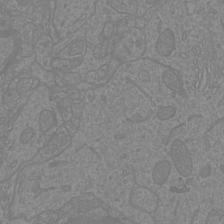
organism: Mouse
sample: Cortical neurons